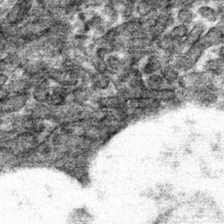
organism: Mouse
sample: Mouse hepatocytes